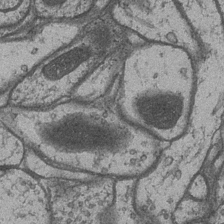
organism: Drosophila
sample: Optic medulla